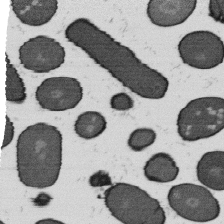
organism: B. subtilis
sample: Bacterial spore